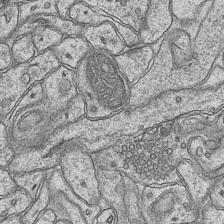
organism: Mouse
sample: CA1 Hippocampus